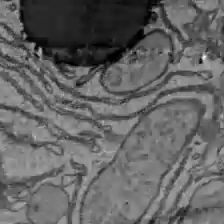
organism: C57BL Mouse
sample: Liver